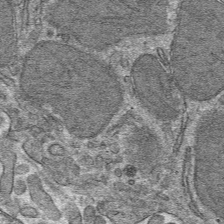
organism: Mouse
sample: Mouse hepatocytes